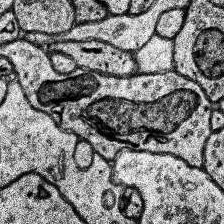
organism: Human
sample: Temporal Lobe